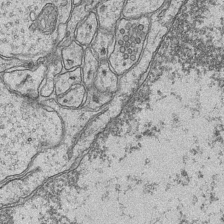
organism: Mouse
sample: CA1 Hippocampus